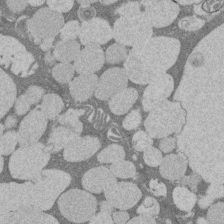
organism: Rat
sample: Salivary granule